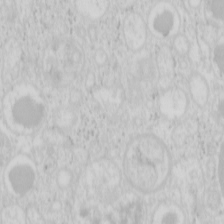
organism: Mouse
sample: Pancreas